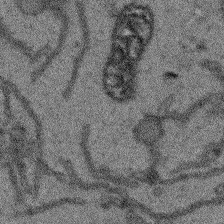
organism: Arabidopsis thaliana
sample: Root tip